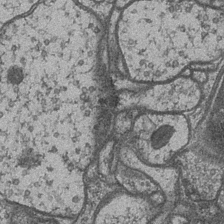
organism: Drosophila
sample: Optic medulla